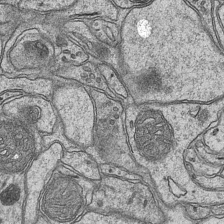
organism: Mouse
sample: CA1 Hippocampus